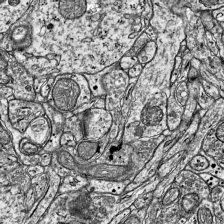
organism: Mouse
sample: Visual Cortex